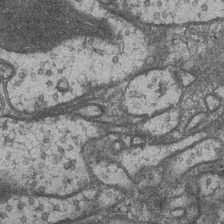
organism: Drosophila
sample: Optic medulla